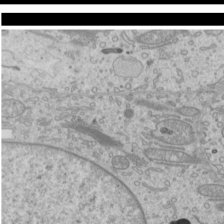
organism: Mouse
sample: Cilia; mouse epididymis